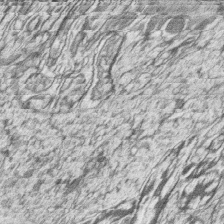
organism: Zebrafish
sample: synaptic ribbons in rod cells and cone cells